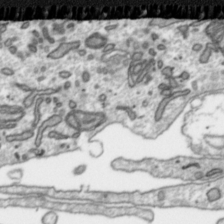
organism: Toxoplasma gondii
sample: Parasites in a vacuole inside a host cell